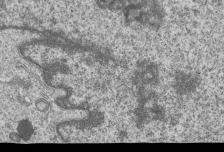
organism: Human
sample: MDA-MB-231 cells